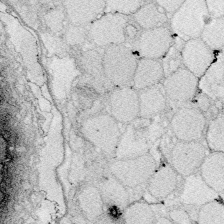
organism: Zebrafish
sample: Whole-Brain